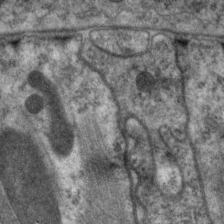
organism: C. elegans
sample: Pharynx